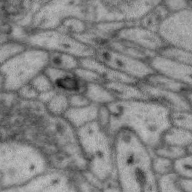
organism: Zebra finch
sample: Brain